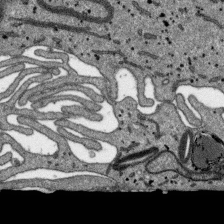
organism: Human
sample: Lung epithelial cells, uninfected (mock) control